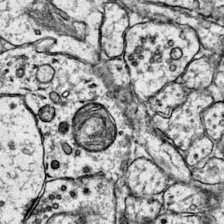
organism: Mouse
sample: Primary visual cortex